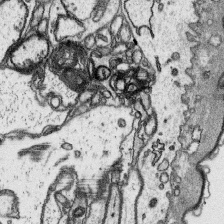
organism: Platynereis dumerilii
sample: Parapodia